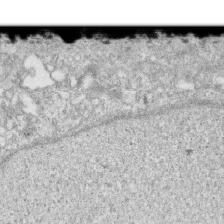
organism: Human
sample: HeLa cell HIV synapse